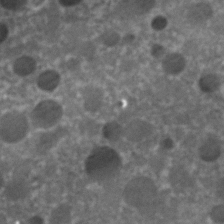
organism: C. elegans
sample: C. elegans embryo